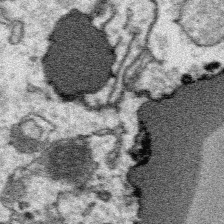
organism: Platynereis dumerilii